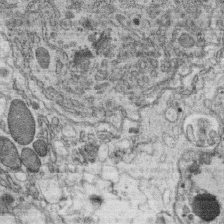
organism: C. elegans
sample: C. elegans oocyte; sperm cells